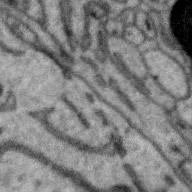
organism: Zebra finch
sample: Brain